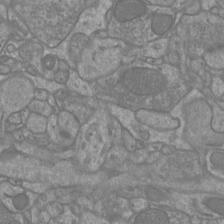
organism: Mouse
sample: Cortical neurons